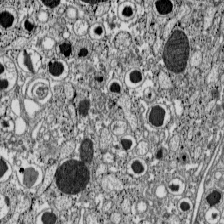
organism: C57BL Mouse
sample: Pancreatic islet